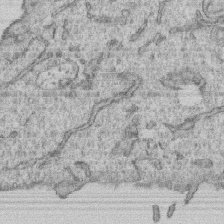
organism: Human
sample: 1205lu cells